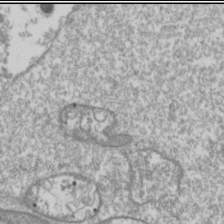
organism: Drosophila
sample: Cell division; meiosis; drosophila spermatocytes